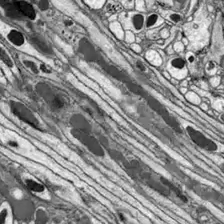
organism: Drosophila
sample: Optic lobe